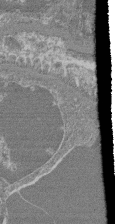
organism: Mouse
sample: Glomerulus